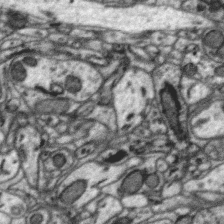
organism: Zebra finch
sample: Brain